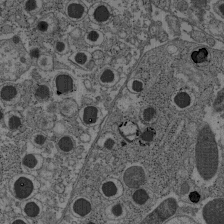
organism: C57BL Mouse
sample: Pancreatic islet